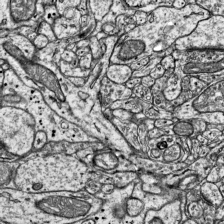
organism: Mouse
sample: Visual Cortex